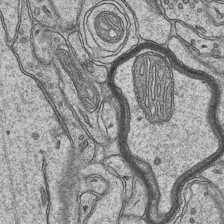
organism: Mouse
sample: CA1 Hippocampus